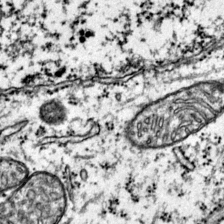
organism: Mouse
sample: Primary visual cortex